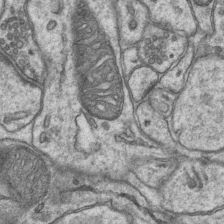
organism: Mouse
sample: CA1 Hippocampus